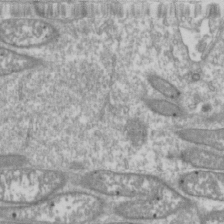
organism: Drosophila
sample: Cell division; meiosis; drosophila spermatocytes